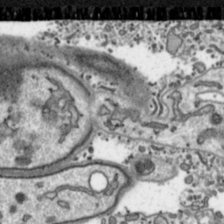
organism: Toxoplasma gondii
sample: Parasites in a vacuole inside a host cell